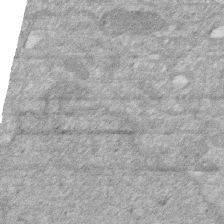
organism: Human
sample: HIV infected U937 cells